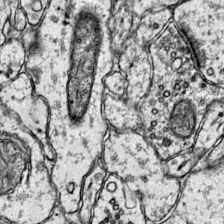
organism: Mouse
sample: Primary visual cortex